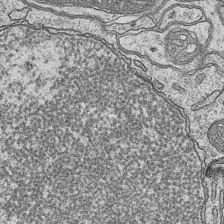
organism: Mouse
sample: CA1 Hippocampus